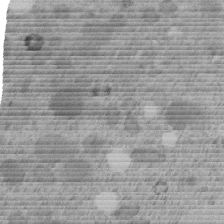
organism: C. elegans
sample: C. elegans embryo early stage